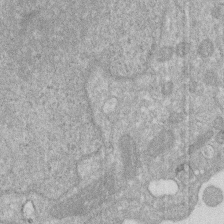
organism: Human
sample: HIV infected U937 cells